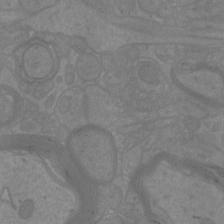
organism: Mouse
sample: Cortical neurons